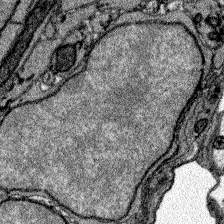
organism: Zebrafish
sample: Larval olfactory bulb